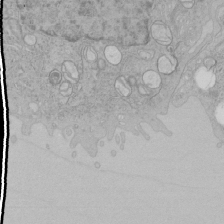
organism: Human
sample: Mitochondria in HCT116 cells